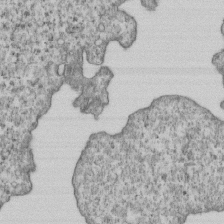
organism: Human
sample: MDA-MB-231 cells